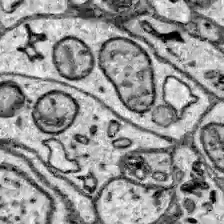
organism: Zebrafish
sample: Brain